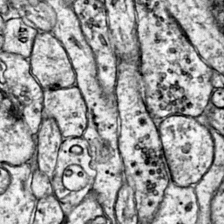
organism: Mouse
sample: Primary visual cortex